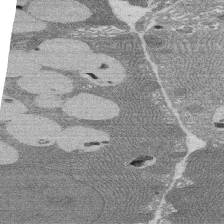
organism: Rat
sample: Salivary granule